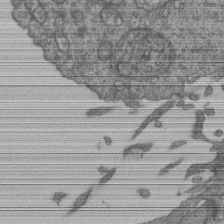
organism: Human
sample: Retinal organoid Rod and Cone cells